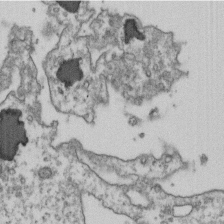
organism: Human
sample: Activated Jurkat CD4+ T cells